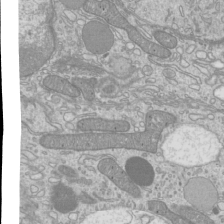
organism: Mouse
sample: Cilia; mouse epididymis